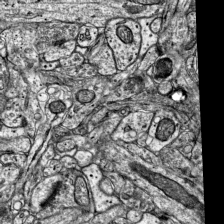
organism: Mouse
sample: Visual Cortex